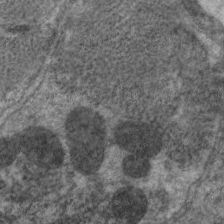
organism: C. elegans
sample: Pharynx